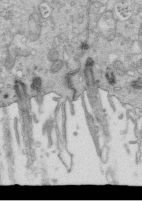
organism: Mouse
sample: Multiciliated cells